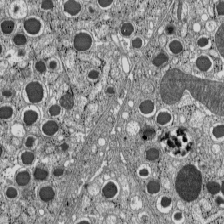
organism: C57BL Mouse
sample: Pancreatic islet